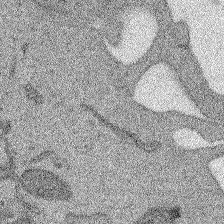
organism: Human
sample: HeLa cells